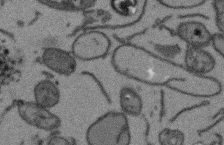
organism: Arabidopsis thaliana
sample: Root tip